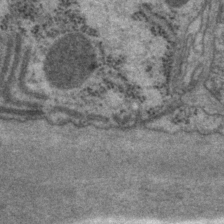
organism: P. pacificus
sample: Pharynx